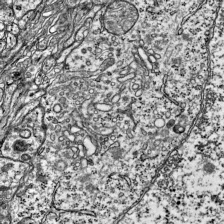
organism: Mouse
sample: Visual Cortex